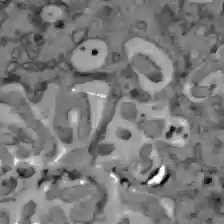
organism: C57BL Mouse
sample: Liver